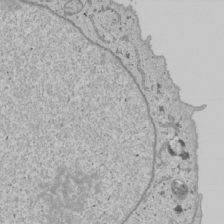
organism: Human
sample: Mitochondria in U2OS cells